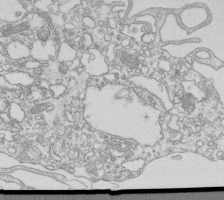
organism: Mouse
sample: Macrophages